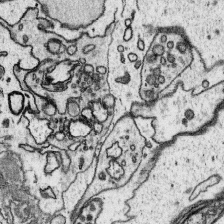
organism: Platynereis dumerilii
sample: Parapodia